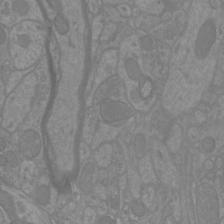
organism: Mouse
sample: Cortical neurons